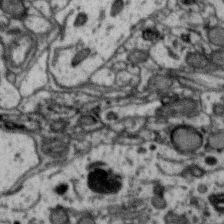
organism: Zebra finch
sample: Brain